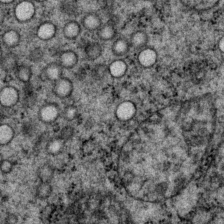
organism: P. pacificus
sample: Pharynx